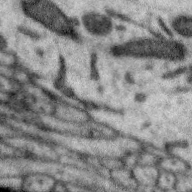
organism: Zebra finch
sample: Brain